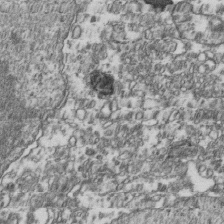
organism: Human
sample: Activated Jurkat CD4+ T cells